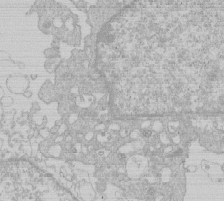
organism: Human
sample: Macrophage cells